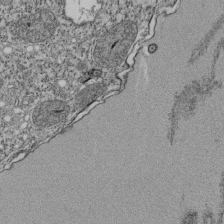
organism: Tetrahymena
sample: Cilia in tetrahymena